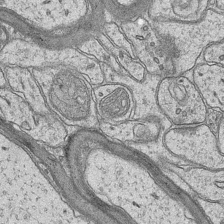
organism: Mouse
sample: CA1 Hippocampus